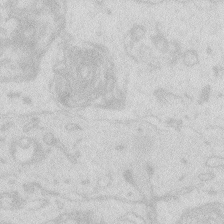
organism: Zebrafish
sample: Macrophage